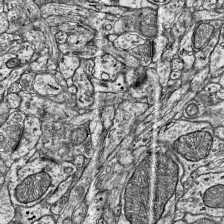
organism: Mouse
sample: Visual Cortex